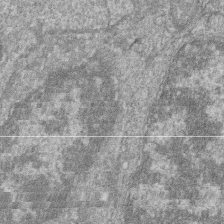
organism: Zebrafish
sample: Cilia; retinal pigment epithelium